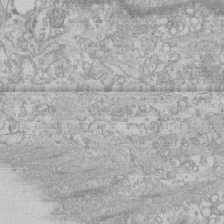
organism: Human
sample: CRL-1474